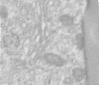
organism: Human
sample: Centriole in RPE cells